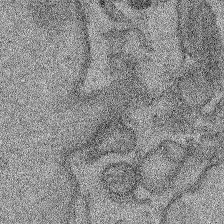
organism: Human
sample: HeLa cells